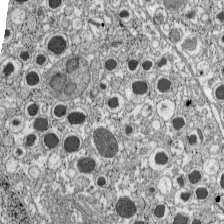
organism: C57BL Mouse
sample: Pancreatic islet